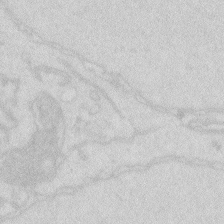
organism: Zebrafish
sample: Macrophage